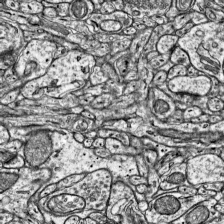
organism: Mouse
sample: Visual Cortex